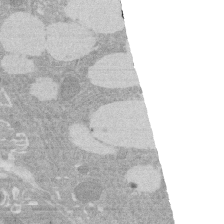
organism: Rat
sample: Salivary granule